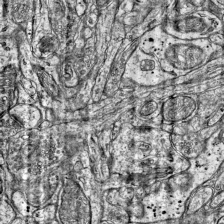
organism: Mouse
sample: Visual Cortex